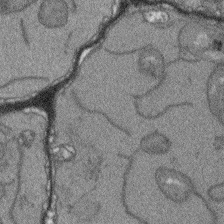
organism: Arabidopsis thaliana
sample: Root tip